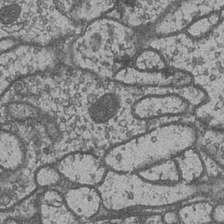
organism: Drosophila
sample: Optic medulla